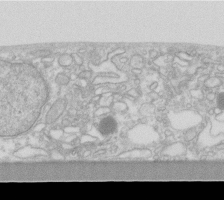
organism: Human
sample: Fibroblast cells